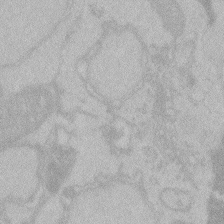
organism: Zebrafish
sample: Macrophage infected with Toxoplasma gondii